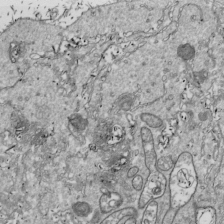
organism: Drosophila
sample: Cell division; meiosis; drosophila spermatocytes